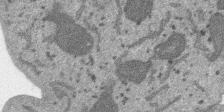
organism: Human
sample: Lung epithelial cells infected with SARS-CoV-2